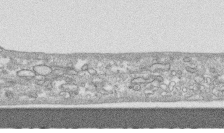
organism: Human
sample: CRL-1474